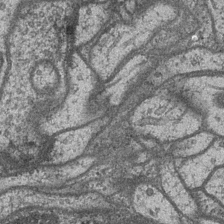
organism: Drosophila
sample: Optic medulla